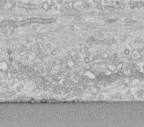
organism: Human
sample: Centriole in fibroblast cells